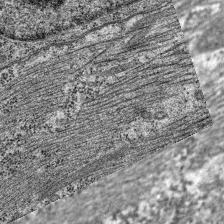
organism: C. elegans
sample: Pharynx